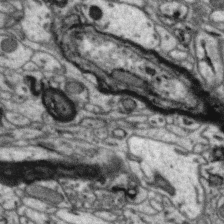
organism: Zebra finch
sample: Brain